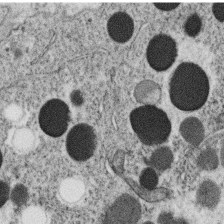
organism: C. elegans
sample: C. elegans oocyte; sperm cells